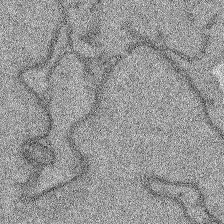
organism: Human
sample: HeLa cells